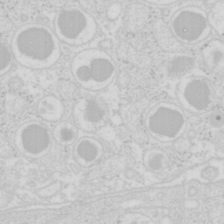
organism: Mouse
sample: Pancreas